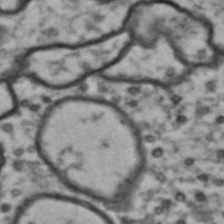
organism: Drosophila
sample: Brain